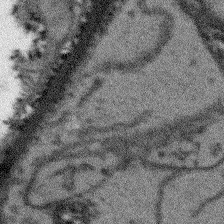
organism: Arabidopsis thaliana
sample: Root tip